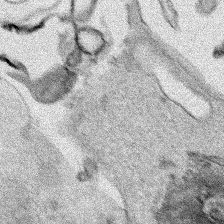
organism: Human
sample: Mitochondria in HCT116 cells